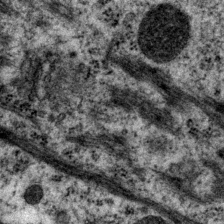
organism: P. pacificus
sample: Pharynx